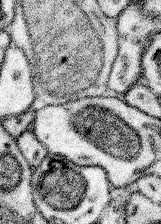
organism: Mouse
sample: Somatosensory cortex neuropil